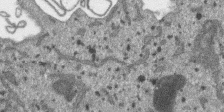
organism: Human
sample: Lung epithelial cells infected with SARS-CoV-2